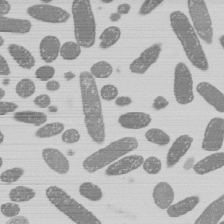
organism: E. coli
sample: Bacterial nucleoid